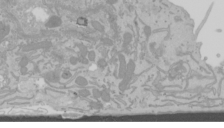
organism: Mouse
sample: Cancer cell death in ED-1 cells